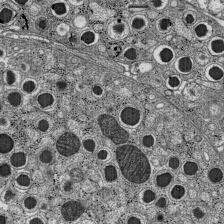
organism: C57BL Mouse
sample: Pancreatic islet